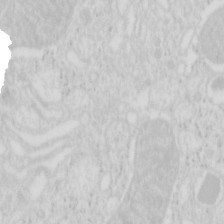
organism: Mouse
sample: Pancreas